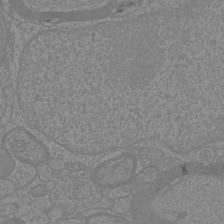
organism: Mouse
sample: Cortical neurons